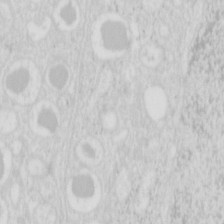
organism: Mouse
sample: Pancreas